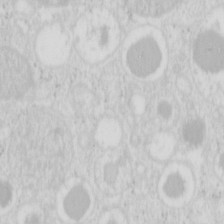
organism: Mouse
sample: Pancreas